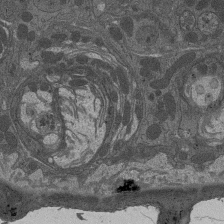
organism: Drosophila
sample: Antenna